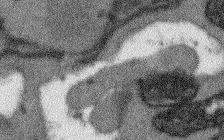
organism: Arabidopsis thaliana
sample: Root tip